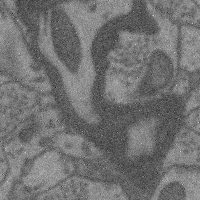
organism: Mouse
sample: Cerebral cortex